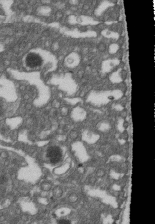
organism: Drosophila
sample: Nephrocyte